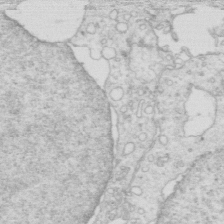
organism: Mouse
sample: Multiciliated cells